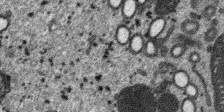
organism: Human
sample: Lung epithelial cells infected with SARS-CoV-2